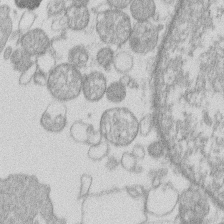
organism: Human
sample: Macrophage cells